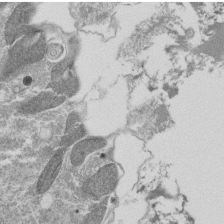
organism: Tetrahymena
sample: Cilia in tetrahymena